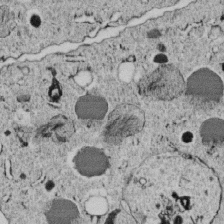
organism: C. elegans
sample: C. elegans embryo early stage